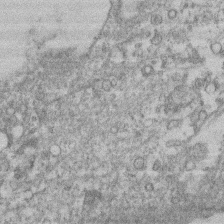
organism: Mouse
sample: T cell stromal cell synapse